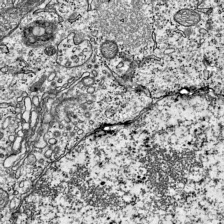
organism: Mouse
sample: Visual Cortex